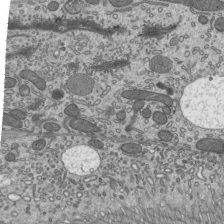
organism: Mouse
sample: Mouse epididymis efferent ductule cilia